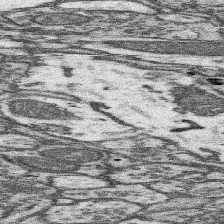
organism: Mouse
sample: Somatosensory cortex neuropil